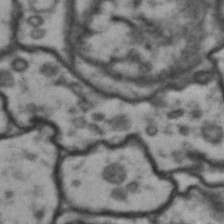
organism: Drosophila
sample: Brain